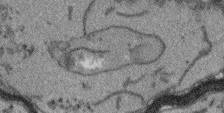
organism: Arabidopsis thaliana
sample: Root tip